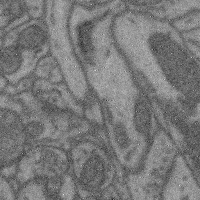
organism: Mouse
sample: Cerebral cortex